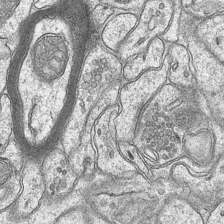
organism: Mouse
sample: CA1 Hippocampus